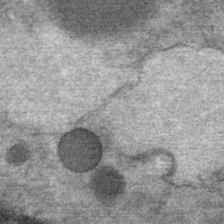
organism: Mouse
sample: Mouse Salivary gland